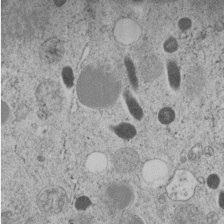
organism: C. elegans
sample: C. elegans embryo early stage